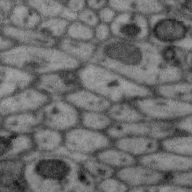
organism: Zebra finch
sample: Brain